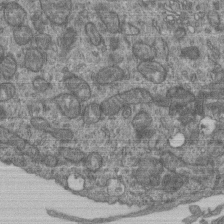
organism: Human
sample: Retinal organoid Rod and Cone cells